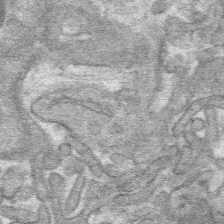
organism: Mouse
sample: Mouse hepatocytes